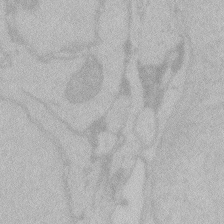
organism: Zebrafish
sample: Macrophage infected with Toxoplasma gondii